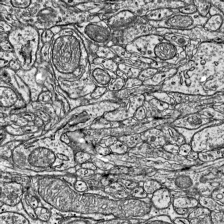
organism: Mouse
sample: Visual Cortex